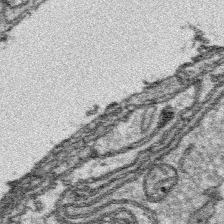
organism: Platynereis dumerilii